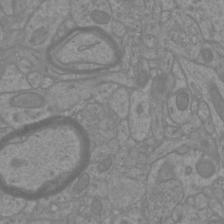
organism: Mouse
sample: Cortical neurons